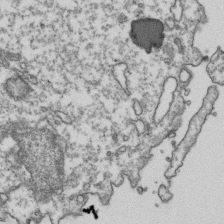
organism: Human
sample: Activated Jurkat CD4+ T cells